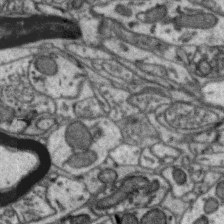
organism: Zebra finch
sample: Brain